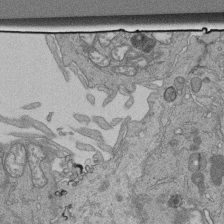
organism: Human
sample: Retinal organoid Rod and Cone cells